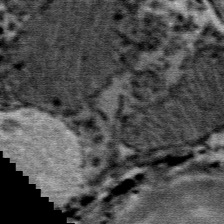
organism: Mouse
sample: Mouse Salivary gland